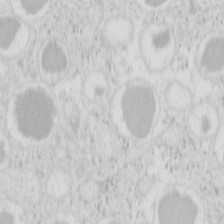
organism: Mouse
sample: Pancreas